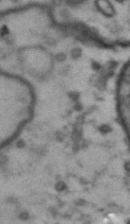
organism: Drosophila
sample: Brain